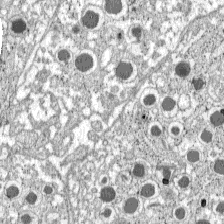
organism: C57BL Mouse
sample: Pancreatic islet